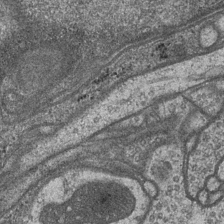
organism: Drosophila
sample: Optic medulla